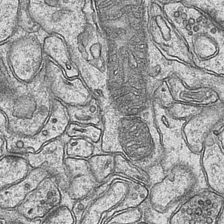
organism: Mouse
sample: CA1 Hippocampus